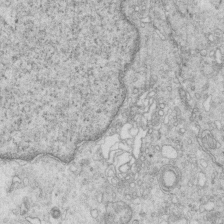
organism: Mouse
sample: Multiciliated cells